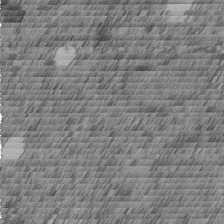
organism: C. elegans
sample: C. elegans embryo early stage